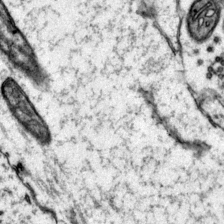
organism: Mouse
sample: Primary visual cortex